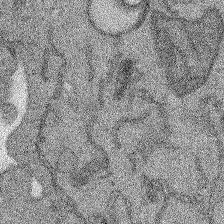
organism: Human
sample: HeLa cells